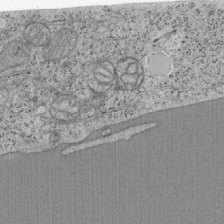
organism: Human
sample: HeLa cells